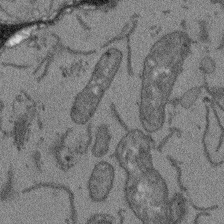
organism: Arabidopsis thaliana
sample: Root tip